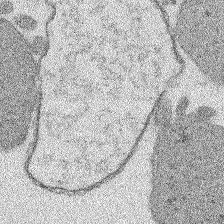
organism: Human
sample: HeLa cells